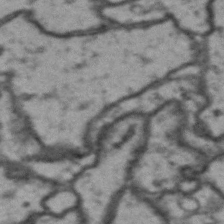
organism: Drosophila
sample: Brain